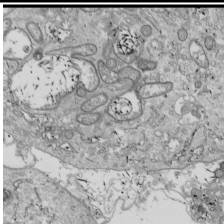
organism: Drosophila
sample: Cell division; meiosis; drosophila spermatocytes